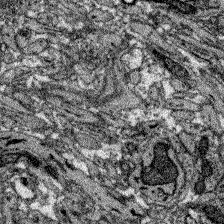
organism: Zebrafish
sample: Larval olfactory bulb